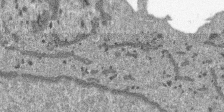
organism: Human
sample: Lung epithelial cells infected with SARS-CoV-2